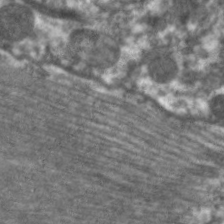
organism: C. elegans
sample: Pharynx